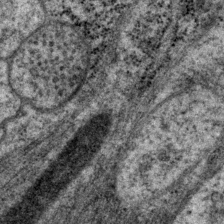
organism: P. pacificus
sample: Pharynx